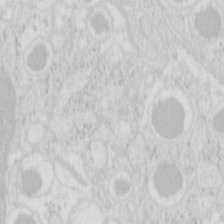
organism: Mouse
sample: Pancreas